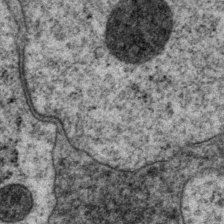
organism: P. pacificus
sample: Pharynx